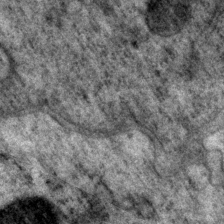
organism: P. pacificus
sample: Pharynx